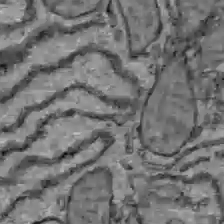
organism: C57BL Mouse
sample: Liver